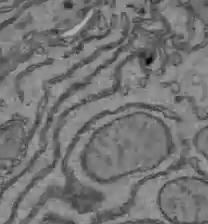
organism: C57BL Mouse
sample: Liver